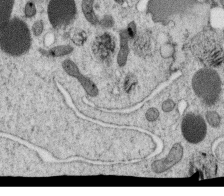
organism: C. elegans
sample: C. elegans oocyte; sperm cells